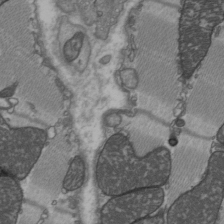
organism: C57BL Mouse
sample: Heart